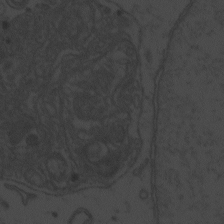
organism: Zebrafish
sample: Macrophage infected with Toxoplasma gondii